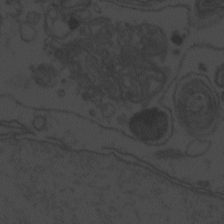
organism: Zebrafish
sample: Macrophage infected with Toxoplasma gondii